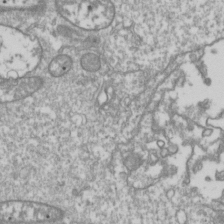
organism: Drosophila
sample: Cell division; meiosis; drosophila spermatocytes